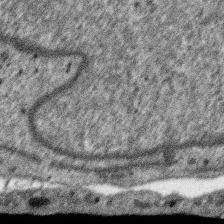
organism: Human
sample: Lung epithelial cells infected with SARS-CoV-2